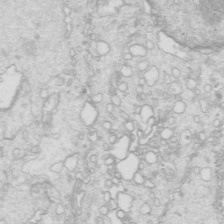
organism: Mouse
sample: Multiciliated cells